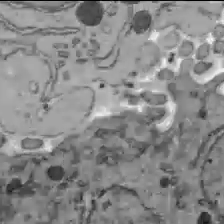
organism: C57BL Mouse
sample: Liver